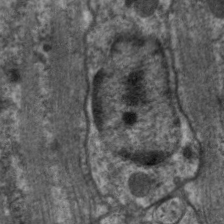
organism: C. elegans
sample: Pharynx